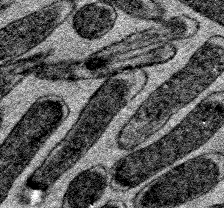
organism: E. coli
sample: E. Coli Bacteria